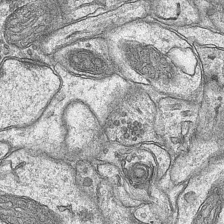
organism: Mouse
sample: CA1 Hippocampus